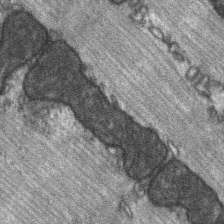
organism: C57BL Mouse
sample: Soleus